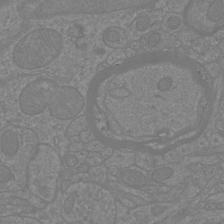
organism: Mouse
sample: Cortical neurons